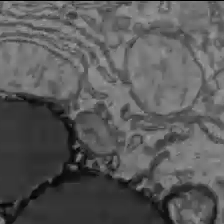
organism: C57BL Mouse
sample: Liver